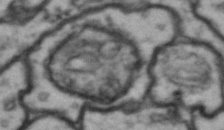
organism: Drosophila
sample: Brain